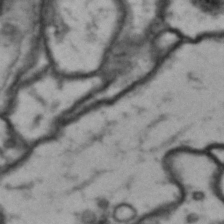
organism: Drosophila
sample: Brain